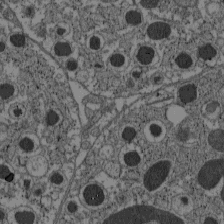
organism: C57BL Mouse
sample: Pancreatic islet